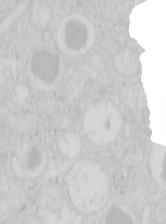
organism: Mouse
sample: Pancreas